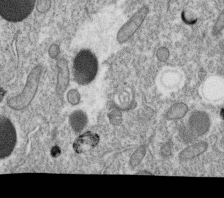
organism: C. elegans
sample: C. elegans oocyte; sperm cells